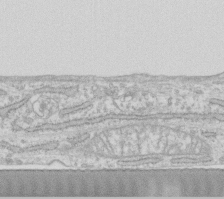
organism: Human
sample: Fibroblast cells